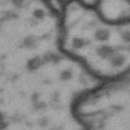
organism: Drosophila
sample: Brain